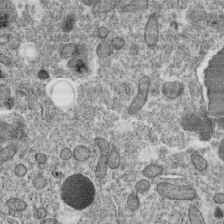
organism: C. elegans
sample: C. elegans oocyte; sperm cells